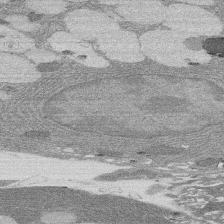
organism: Rat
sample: Salivary granule